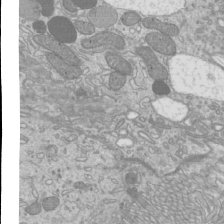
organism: Mouse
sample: Cilia; mouse epididymis